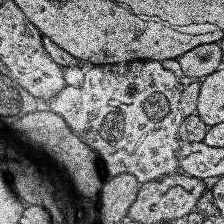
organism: Human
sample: Temporal Lobe